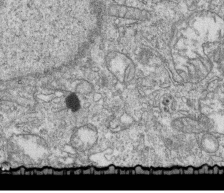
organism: Human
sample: HeLa cell HIV synapse